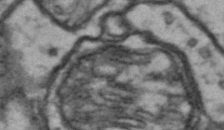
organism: Drosophila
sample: Brain